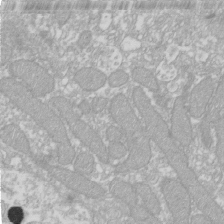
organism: Xenopus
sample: Cilia; centrioles in frog embryo cells